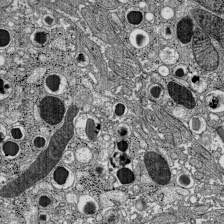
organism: C57BL Mouse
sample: Pancreatic islet